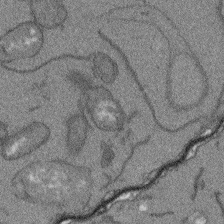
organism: Arabidopsis thaliana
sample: Root tip